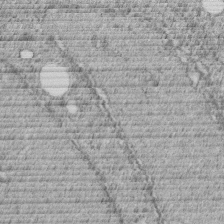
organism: C. elegans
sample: C. elegans embryo early stage